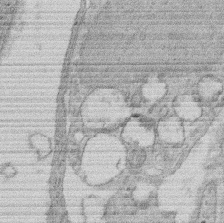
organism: Rat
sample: Salivary granule